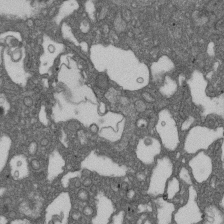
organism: Drosophila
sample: Nephrocyte